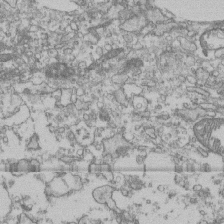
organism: Human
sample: Fibroblast cells